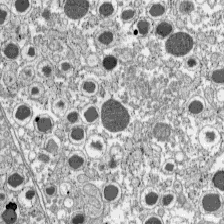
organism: C57BL Mouse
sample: Pancreatic islet